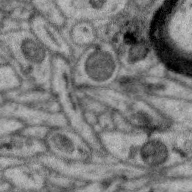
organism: Zebra finch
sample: Brain